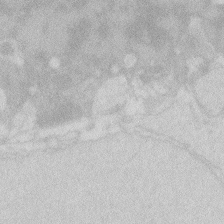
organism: Zebrafish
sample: Macrophage